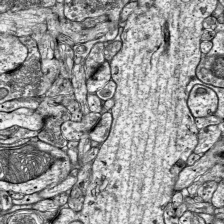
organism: Mouse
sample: Visual Cortex